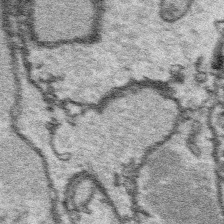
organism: Platynereis dumerilii